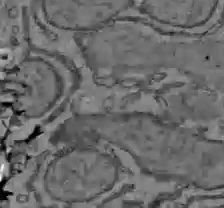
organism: C57BL Mouse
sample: Liver